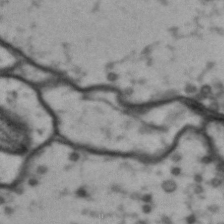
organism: Drosophila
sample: Brain